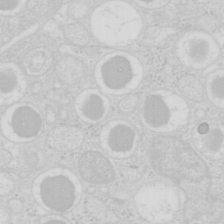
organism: Mouse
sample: Pancreas